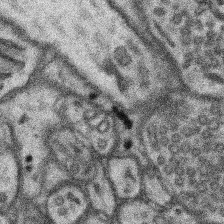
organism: Mouse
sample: Somatosensory cortex neuropil